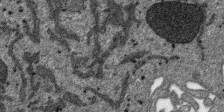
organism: Human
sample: Lung epithelial cells infected with SARS-CoV-2